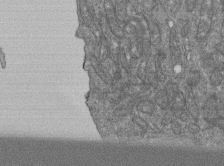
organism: Human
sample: Retinal organoid Rod and Cone cells